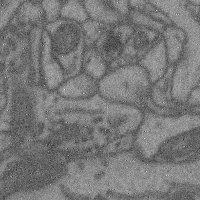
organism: Mouse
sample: Cerebral cortex